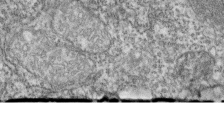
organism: Zebrafish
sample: Cilia; retinal pigment epithelium